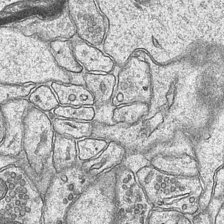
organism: Mouse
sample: CA1 Hippocampus